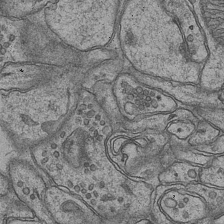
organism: Mouse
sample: CA1 Hippocampus